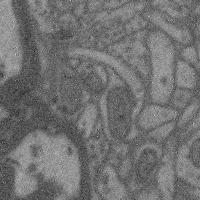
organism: Mouse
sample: Cerebral cortex